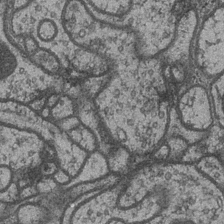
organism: Drosophila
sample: Optic medulla